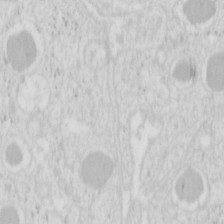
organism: Mouse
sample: Pancreas